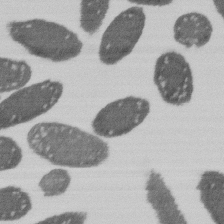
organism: E. coli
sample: Bacterial nucleoid